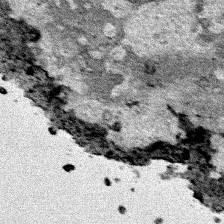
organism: Human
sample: Mitochondria in HCT116 cells